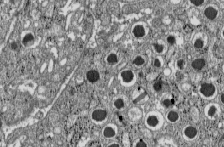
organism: C57BL Mouse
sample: Pancreatic islet